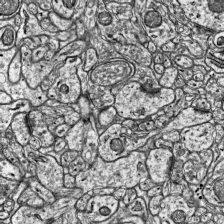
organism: Mouse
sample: Visual Cortex